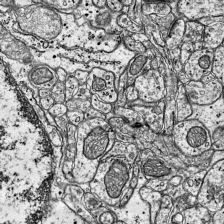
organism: Mouse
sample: Visual Cortex